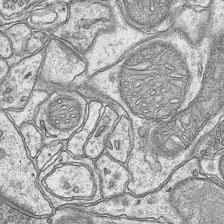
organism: Mouse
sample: CA1 Hippocampus